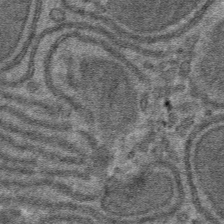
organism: Mouse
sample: Mouse hepatocytes